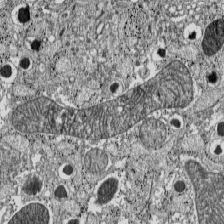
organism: C57BL Mouse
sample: Pancreatic islet